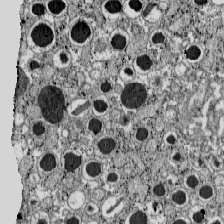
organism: C57BL Mouse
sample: Pancreatic islet